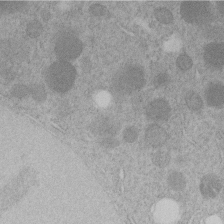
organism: C. elegans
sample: C. elegans embryo early stage